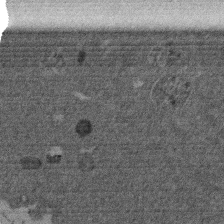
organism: Mouse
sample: Dividing mouse embryo 1 cell stage